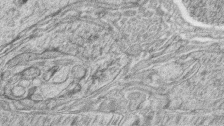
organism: Zebrafish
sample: synaptic ribbons in rod cells and cone cells